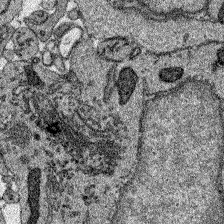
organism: Zebrafish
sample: Larval olfactory bulb